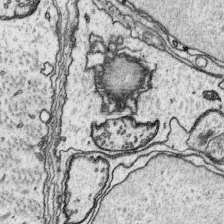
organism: Platynereis dumerilii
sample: Parapodia